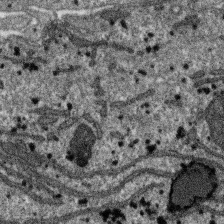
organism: Human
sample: Lung epithelial cells infected with SARS-CoV-2